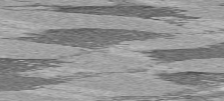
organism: C57BL Mouse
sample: Heart